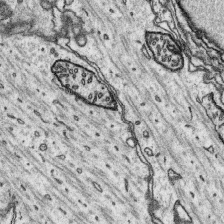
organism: Platynereis dumerilii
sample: Parapodia